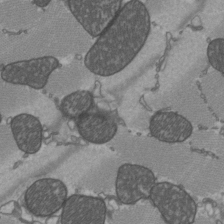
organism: C57BL Mouse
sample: Heart